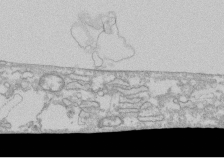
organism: Human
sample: CRL-1474